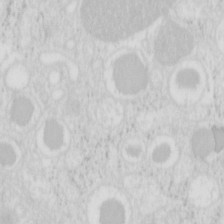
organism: Mouse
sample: Pancreas